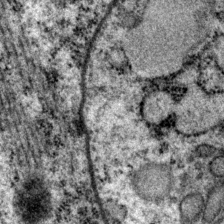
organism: P. pacificus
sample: Pharynx